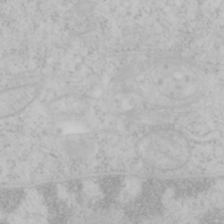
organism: Mouse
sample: OT-I killer T cells with ID8 ovarian cancer cells